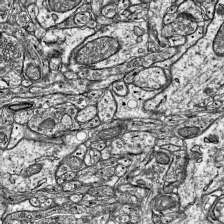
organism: Mouse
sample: Visual Cortex